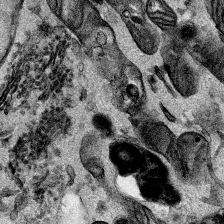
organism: Mouse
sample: Cancer cell death in ED-1 cells